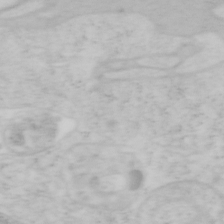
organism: Mouse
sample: OT-I killer T cells with ID8 ovarian cancer cells